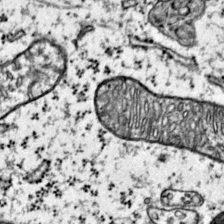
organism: Mouse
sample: Primary visual cortex